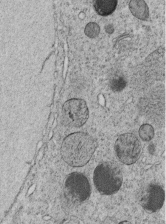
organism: C. elegans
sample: C. elegans embryo early stage